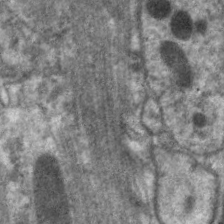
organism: C. elegans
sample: Pharynx